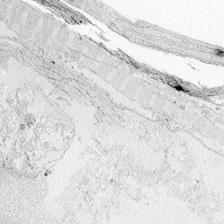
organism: Zebrafish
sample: Whole-Brain